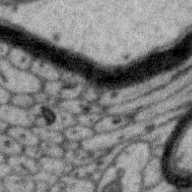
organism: Zebra finch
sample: Brain